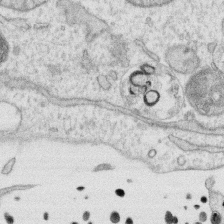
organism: Human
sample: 1205lu cells